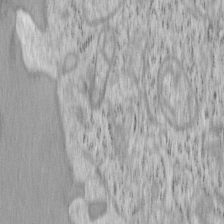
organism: Human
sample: HeLa cells